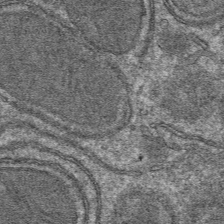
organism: Mouse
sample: Mouse hepatocytes